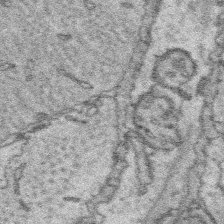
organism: Platynereis dumerilii